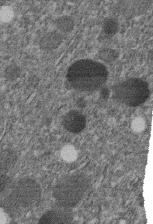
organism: C. elegans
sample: C. elegans embryo early stage